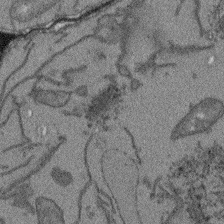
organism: Arabidopsis thaliana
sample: Root tip